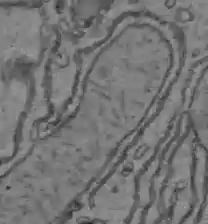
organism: C57BL Mouse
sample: Liver